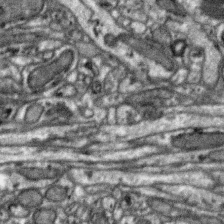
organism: Zebra finch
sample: Brain